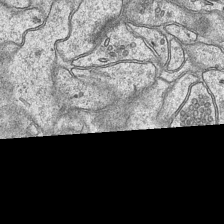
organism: Mouse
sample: CA1 Hippocampus